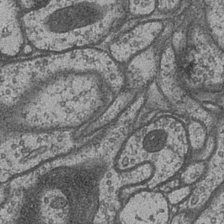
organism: Drosophila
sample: Optic medulla